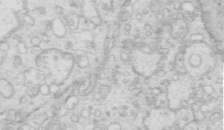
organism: Mouse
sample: Multiciliated cells